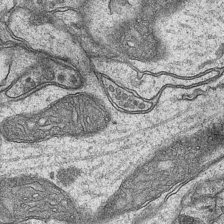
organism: Mouse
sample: CA1 Hippocampus